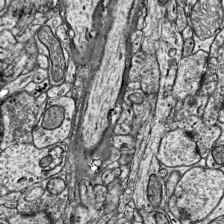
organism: Mouse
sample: Visual Cortex